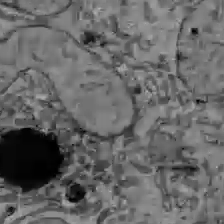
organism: C57BL Mouse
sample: Liver